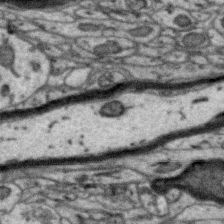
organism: Zebra finch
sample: Brain